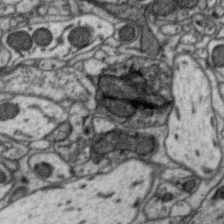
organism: Zebra finch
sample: Brain